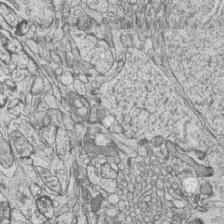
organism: Zebrafish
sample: synaptic ribbons in rod cells and cone cells